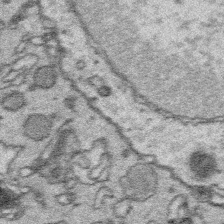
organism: Platynereis dumerilii